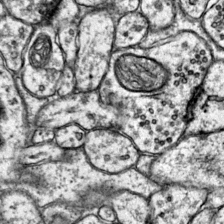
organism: Mouse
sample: Primary visual cortex